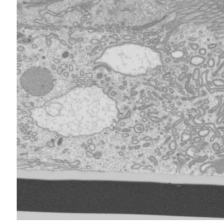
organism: Mouse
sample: Cilia; mouse epididymis